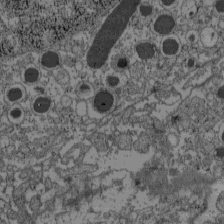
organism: C57BL Mouse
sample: Pancreatic islet